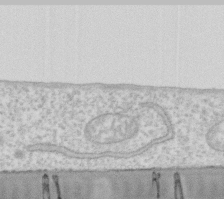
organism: Human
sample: Fibroblast cells